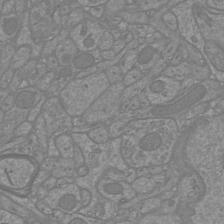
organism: Mouse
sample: Cortical neurons